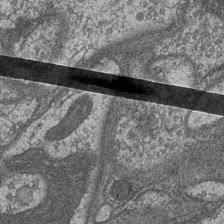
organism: Drosophila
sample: Optic medulla